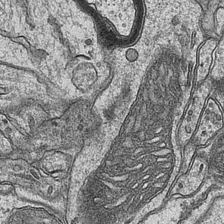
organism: Mouse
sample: CA1 Hippocampus